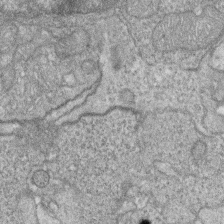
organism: Zebrafish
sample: Cilia; retinal pigment epithelium